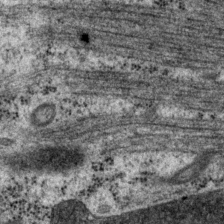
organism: P. pacificus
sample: Pharynx